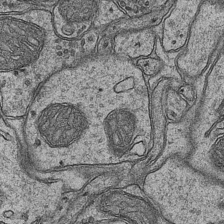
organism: Mouse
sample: CA1 Hippocampus